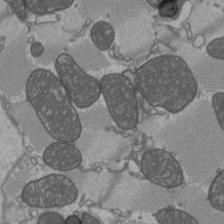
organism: C57BL Mouse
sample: Heart